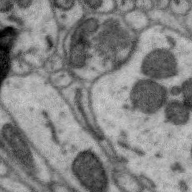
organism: Zebra finch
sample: Brain